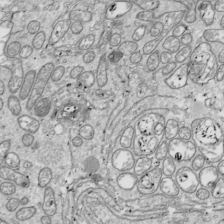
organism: Drosophila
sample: Cell division; meiosis; drosophila spermatocytes